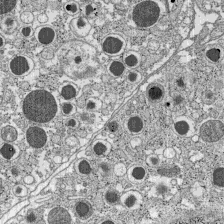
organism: C57BL Mouse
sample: Pancreatic islet